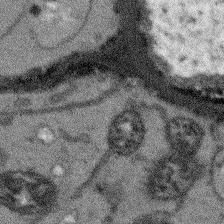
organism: Arabidopsis thaliana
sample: Root tip